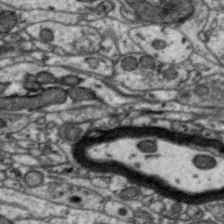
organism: Zebra finch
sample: Brain